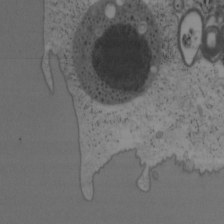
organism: Mouse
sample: OT-I killer T cells with ID8 ovarian cancer cells